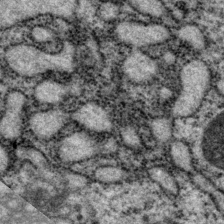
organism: P. pacificus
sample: Pharynx